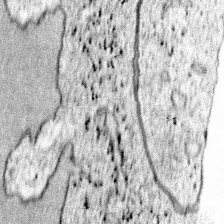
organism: Human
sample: HeLa cells